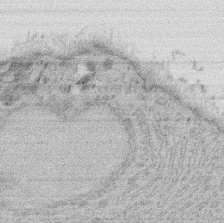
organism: Rat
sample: Salivary granule